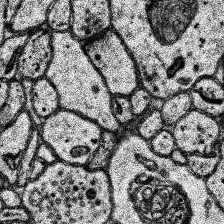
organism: Human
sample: Temporal Lobe